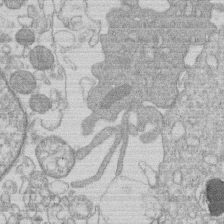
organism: Human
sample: Macrophage cells